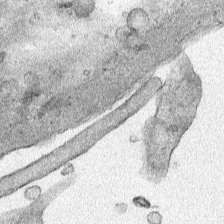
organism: Human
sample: Mitochondria in HCT116 cells